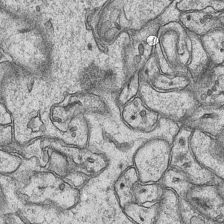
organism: Mouse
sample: CA1 Hippocampus